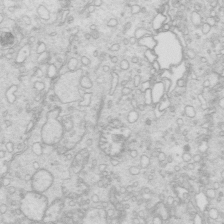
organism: Mouse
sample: Multiciliated cells